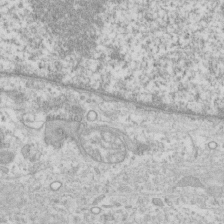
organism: Human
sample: CRL-1474